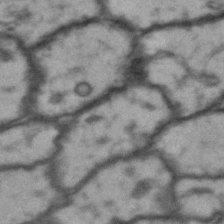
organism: Drosophila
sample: Brain